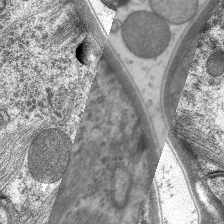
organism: C. elegans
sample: Pharynx